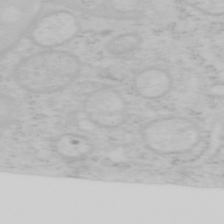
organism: Mouse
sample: OT-I killer T cells with ID8 ovarian cancer cells